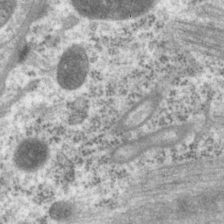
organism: P. pacificus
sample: Pharynx